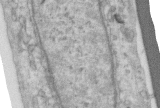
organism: Human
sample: Centriole in RPE cells